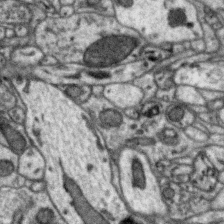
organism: Zebra finch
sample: Brain